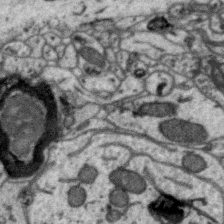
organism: Zebra finch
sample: Brain